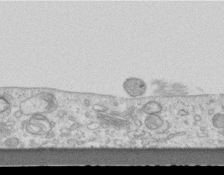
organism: Mouse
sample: Centriole in ependymal cells